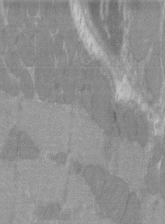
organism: C57BL Mouse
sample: Tibialis anterior muscle cell